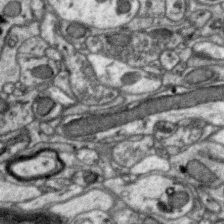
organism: Zebra finch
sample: Brain